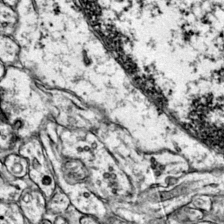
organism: Mouse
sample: Primary visual cortex